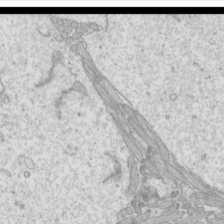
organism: Mouse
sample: Cilia; mouse epididymis